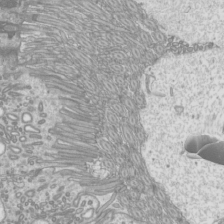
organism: Mouse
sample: Cilia; mouse epididymis